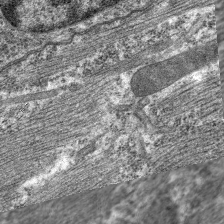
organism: C. elegans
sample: Pharynx